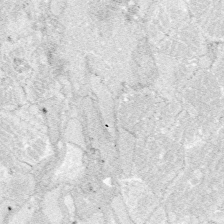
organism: Zebrafish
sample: Whole-Brain